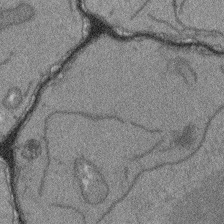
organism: Arabidopsis thaliana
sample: Root tip